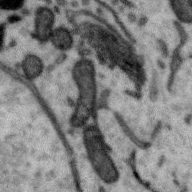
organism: Zebra finch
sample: Brain